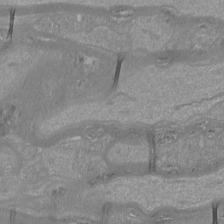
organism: Mouse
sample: Cortical neurons